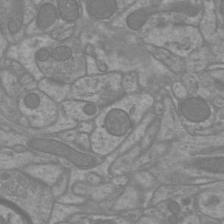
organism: Mouse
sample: Cortical neurons